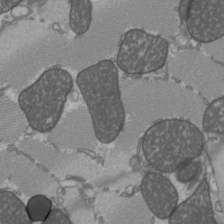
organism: C57BL Mouse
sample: Heart